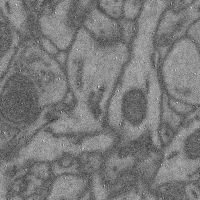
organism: Mouse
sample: Cerebral cortex